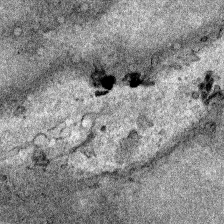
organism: Human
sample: Mitochondria in HCT116 cells